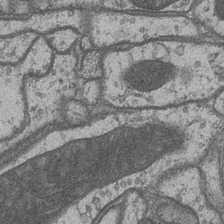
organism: Drosophila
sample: Optic medulla